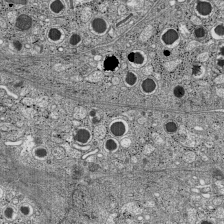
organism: C57BL Mouse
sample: Pancreatic islet